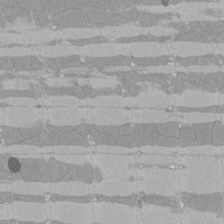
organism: Rat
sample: Left ventricle